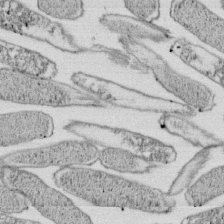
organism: E. coli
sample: Bacterial nucleoid